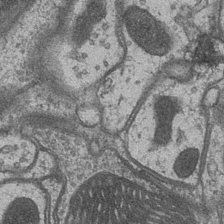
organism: Drosophila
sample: Optic medulla